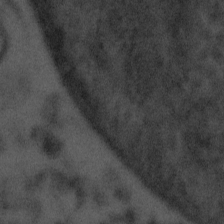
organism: Tuwongella immobilis